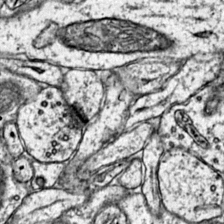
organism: Mouse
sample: Primary visual cortex